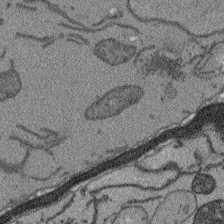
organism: Arabidopsis thaliana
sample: Root tip